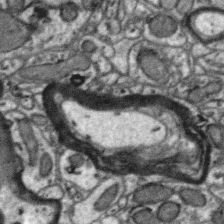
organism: Zebra finch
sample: Brain